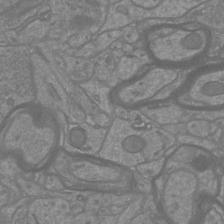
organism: Mouse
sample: Cortical neurons